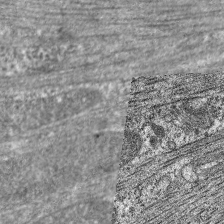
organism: C. elegans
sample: Pharynx